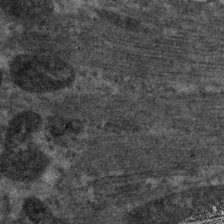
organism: C. elegans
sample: Pharynx